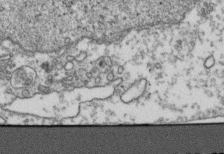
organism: Human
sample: Activated Jurkat CD4+ T cells